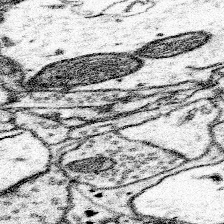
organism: Mouse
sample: Somatosensory cortex neuropil